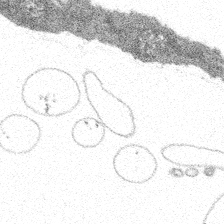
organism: Spongilla lacustris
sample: Multiple